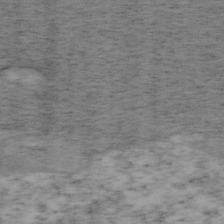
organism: Mouse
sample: OT-I killer T cells with ID8 ovarian cancer cells